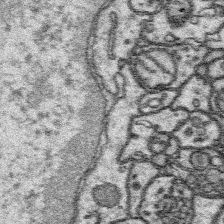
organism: Platynereis dumerilii